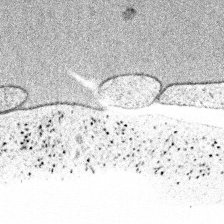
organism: Human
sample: HeLa cells